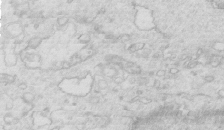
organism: Mouse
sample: Multiciliated cells